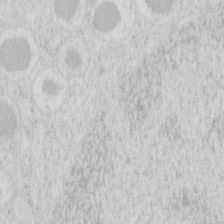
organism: Mouse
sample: Pancreas